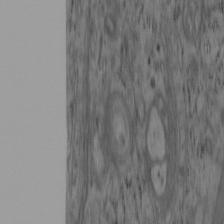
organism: Human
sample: HeLa cells